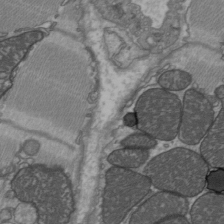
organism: C57BL Mouse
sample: Heart